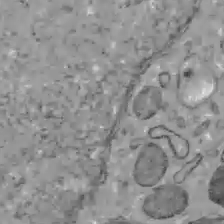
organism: C57BL Mouse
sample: Liver